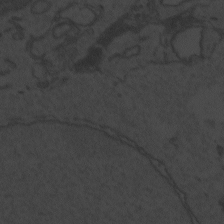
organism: Zebrafish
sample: Macrophage infected with Toxoplasma gondii